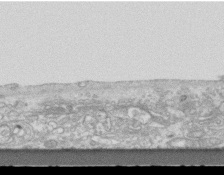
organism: Mouse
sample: Centriole in ependymal cells